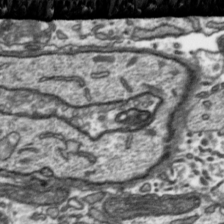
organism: Toxoplasma gondii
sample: Parasites in a vacuole inside a host cell